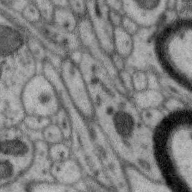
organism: Zebra finch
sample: Brain